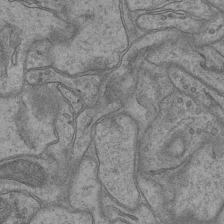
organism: Mouse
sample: CA1 Hippocampus